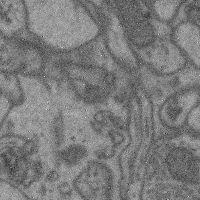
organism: Mouse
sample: Cerebral cortex